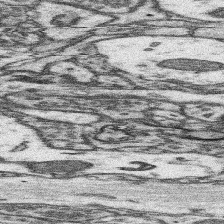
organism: Mouse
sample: Somatosensory cortex neuropil